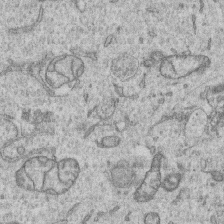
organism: Human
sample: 1205lu cells